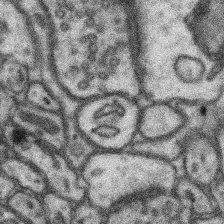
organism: Mouse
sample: Somatosensory cortex neuropil